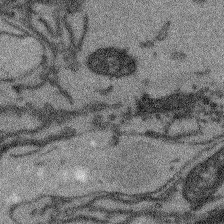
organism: Arabidopsis thaliana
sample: Root tip